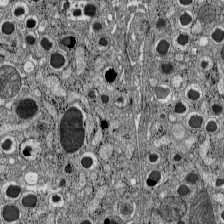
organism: C57BL Mouse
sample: Pancreatic islet